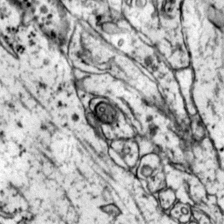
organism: Mouse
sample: Primary visual cortex